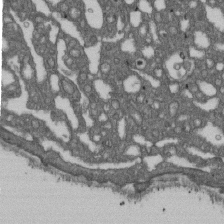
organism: Drosophila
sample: Nephrocyte